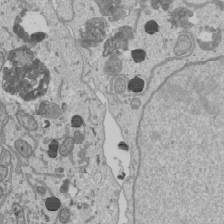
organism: Human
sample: Mitochondria in U2OS cells